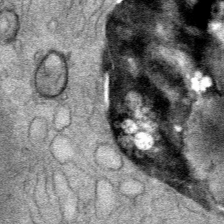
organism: Mouse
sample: Mouse Salivary gland